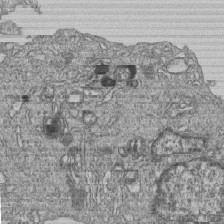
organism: Human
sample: MDA-MB-231 cells